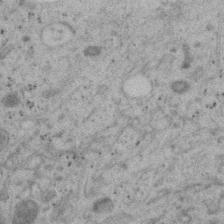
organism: Human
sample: HeLa cells